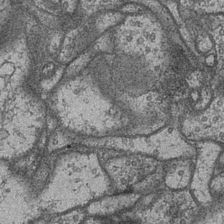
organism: Drosophila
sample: Optic medulla